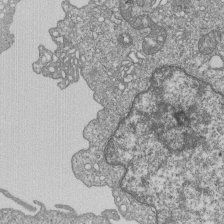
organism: Human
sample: MDA-MB-231 cells